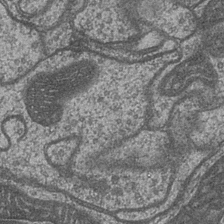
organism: Drosophila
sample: Optic medulla